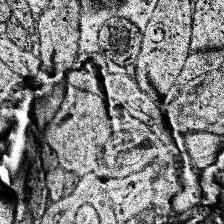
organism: Human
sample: Temporal Lobe